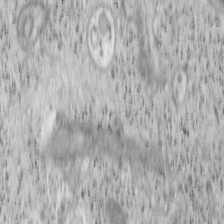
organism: Human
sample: HeLa cells